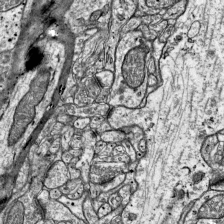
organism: Mouse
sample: Visual Cortex